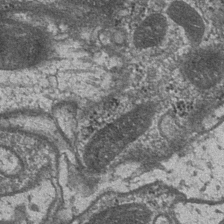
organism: Drosophila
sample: Optic medulla